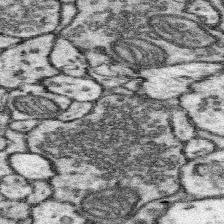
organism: Mouse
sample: Somatosensory cortex neuropil